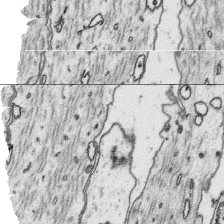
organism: Platynereis dumerilii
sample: Parapodia